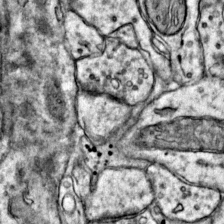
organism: Mouse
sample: Primary visual cortex